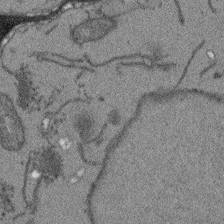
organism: Arabidopsis thaliana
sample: Root tip